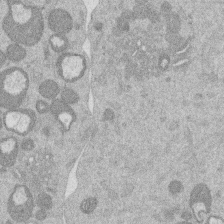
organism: Mouse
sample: Dividing mouse embryo 1 cell stage